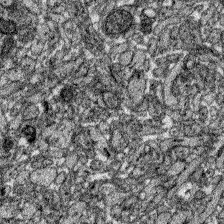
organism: Zebrafish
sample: Larval olfactory bulb